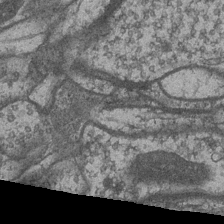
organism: Drosophila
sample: Optic medulla